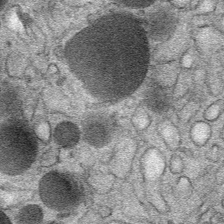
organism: Mouse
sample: Mouse Salivary gland